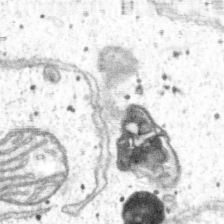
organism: Human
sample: HeLa cells